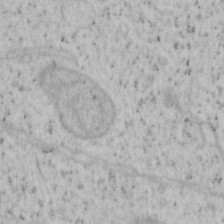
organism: Human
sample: HeLa cells